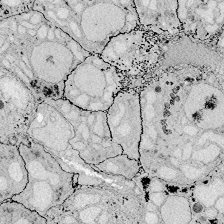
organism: Zebrafish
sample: Whole-Brain